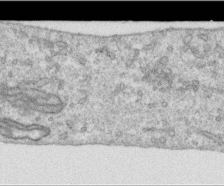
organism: Human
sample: Centriole in RPE cells